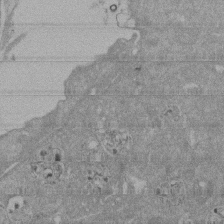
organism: Mouse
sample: ED-1 cell nuclei; centrioles